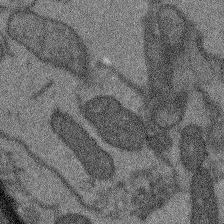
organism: Arabidopsis thaliana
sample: Root tip